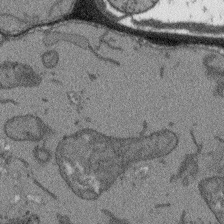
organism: Arabidopsis thaliana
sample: Root tip